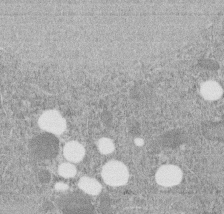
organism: C. elegans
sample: C. elegans embryo early stage